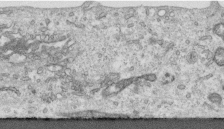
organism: Human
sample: Centriole in RPE cells